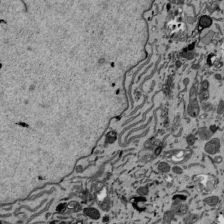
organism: Mouse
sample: ED-1 cell nuclei; centrioles